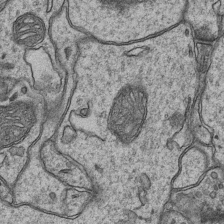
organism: Mouse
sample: CA1 Hippocampus